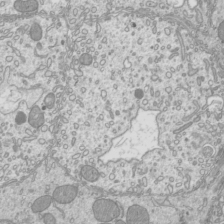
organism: Mouse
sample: Cilia; mouse epididymis